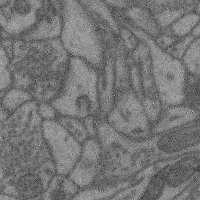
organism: Mouse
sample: Cerebral cortex